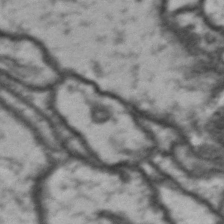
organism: Drosophila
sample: Brain